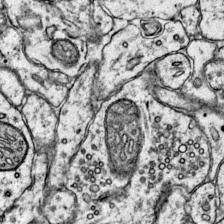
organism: Mouse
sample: Primary visual cortex